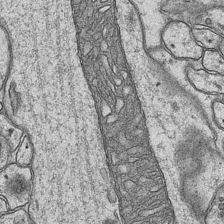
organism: Mouse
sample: CA1 Hippocampus